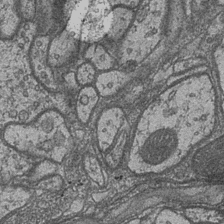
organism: Drosophila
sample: Optic medulla